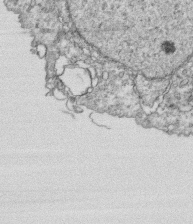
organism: Human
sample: HeLa cell HIV synapse